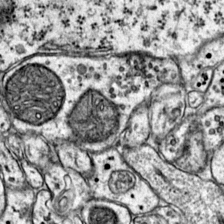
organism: Mouse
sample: Primary visual cortex